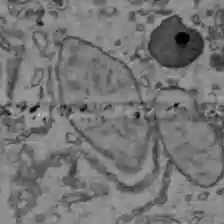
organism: C57BL Mouse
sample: Liver